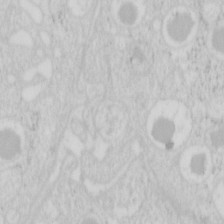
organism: Mouse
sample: Pancreas